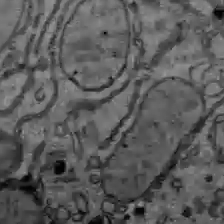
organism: C57BL Mouse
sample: Liver